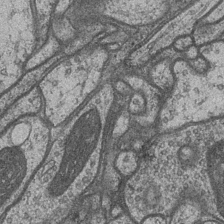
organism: Drosophila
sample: Optic medulla